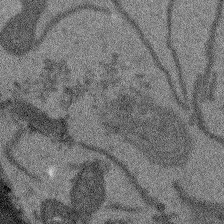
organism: Arabidopsis thaliana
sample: Root tip